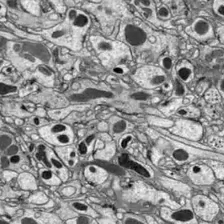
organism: Drosophila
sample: Optic lobe